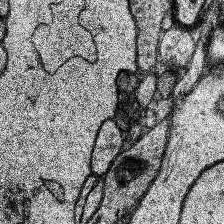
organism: Human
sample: Temporal Lobe